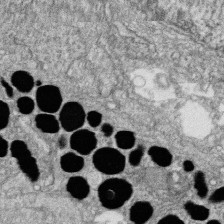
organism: Zebrafish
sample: Cilia; retinal pigment epithelium